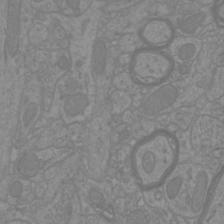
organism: Mouse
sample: Cortical neurons